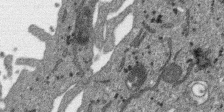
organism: Human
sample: Lung epithelial cells infected with SARS-CoV-2